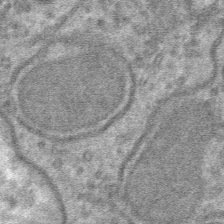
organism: Mouse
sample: Mouse hepatocytes